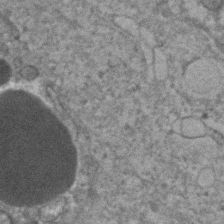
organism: Human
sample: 1205lu cells